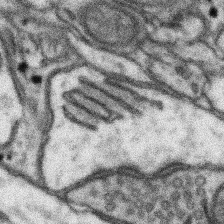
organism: Mouse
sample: Somatosensory cortex neuropil